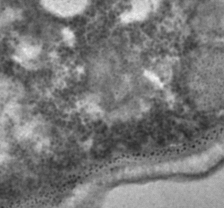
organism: C. elegans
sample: C. elegans embryo